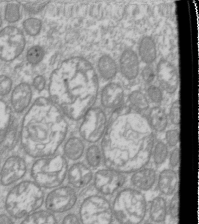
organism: Drosophila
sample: Cell division; meiosis; drosophila spermatocytes